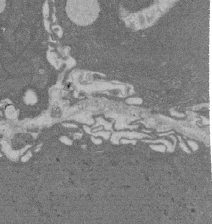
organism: Rat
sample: Salivary granule